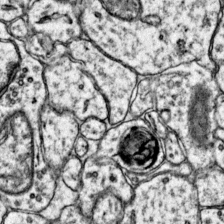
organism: Mouse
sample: Primary visual cortex